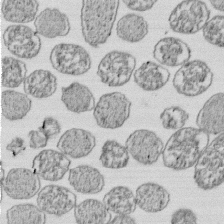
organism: E. coli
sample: Bacterial nucleoid